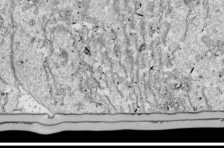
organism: Drosophila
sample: Cell division; meiosis; drosophila spermatocytes